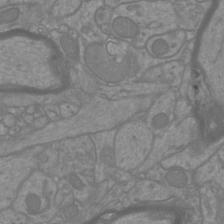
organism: Mouse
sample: Cortical neurons